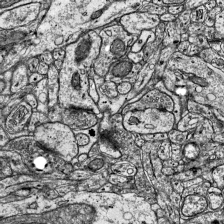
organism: Mouse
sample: Visual Cortex